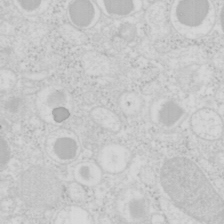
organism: Mouse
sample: Pancreas